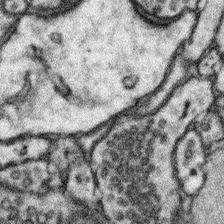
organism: Mouse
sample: Somatosensory cortex neuropil